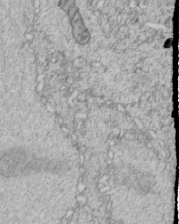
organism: C. elegans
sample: C. elegans embryo early stage